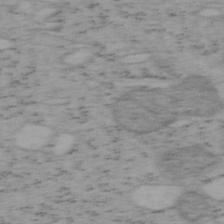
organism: Mouse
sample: OT-I killer T cells with ID8 ovarian cancer cells